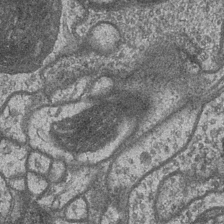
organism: Drosophila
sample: Optic medulla